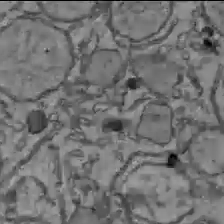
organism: C57BL Mouse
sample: Liver